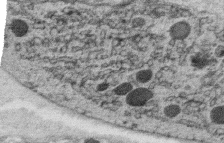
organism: C. elegans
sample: C. elegans oocyte; sperm cells